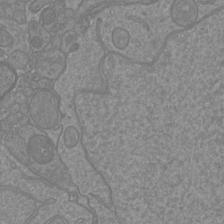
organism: Mouse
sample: Cortical neurons